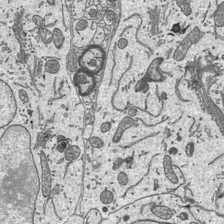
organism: Mouse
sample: Suprachiasmatic nucleus